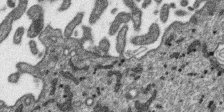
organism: Human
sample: Lung epithelial cells infected with SARS-CoV-2